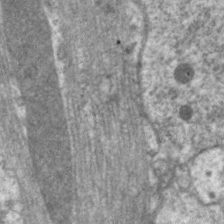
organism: C. elegans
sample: Pharynx